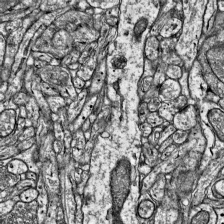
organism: Mouse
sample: Visual Cortex